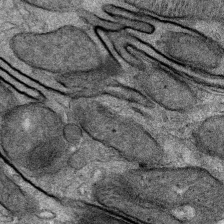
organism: Mouse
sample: Mouse Salivary gland